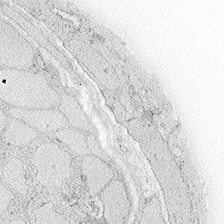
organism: Zebrafish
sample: Whole-Brain